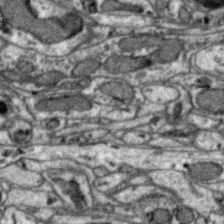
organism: Zebra finch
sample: Brain